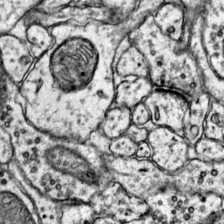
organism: Mouse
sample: Primary visual cortex